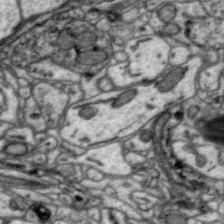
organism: Zebra finch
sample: Brain